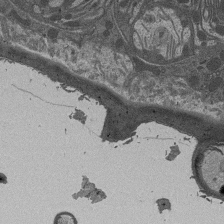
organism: Drosophila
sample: Antenna